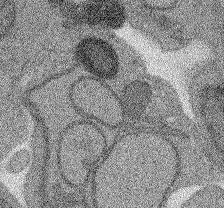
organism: Human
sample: HeLa cells